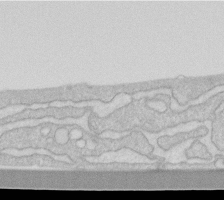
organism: Human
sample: Fibroblast cells